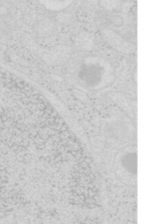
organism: Mouse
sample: Pancreas